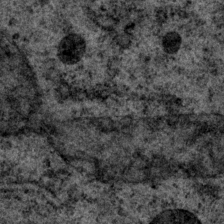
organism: P. pacificus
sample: Pharynx